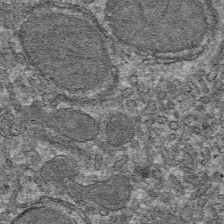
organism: Mouse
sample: Mouse hepatocytes